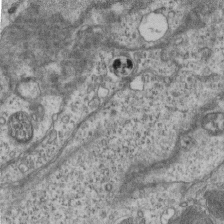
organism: Mouse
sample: Centriole in ependymal cells